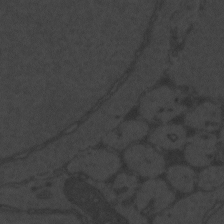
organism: Zebrafish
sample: Macrophage infected with Toxoplasma gondii